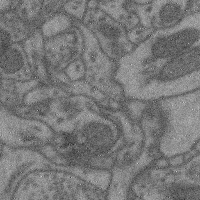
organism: Mouse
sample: Cerebral cortex